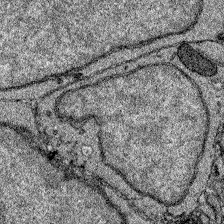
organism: Zebrafish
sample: Larval olfactory bulb